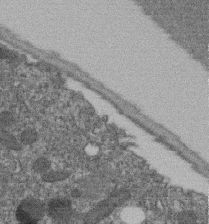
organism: C. elegans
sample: C. elegans embryo early stage